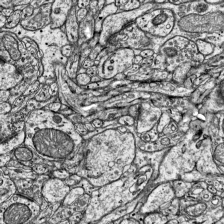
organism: Mouse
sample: Visual Cortex